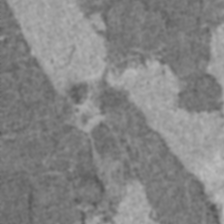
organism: C57BL Mouse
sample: Heart